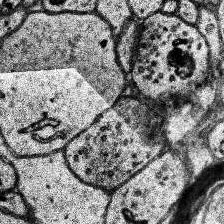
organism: Human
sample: Temporal Lobe